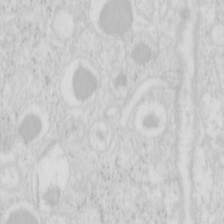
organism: Mouse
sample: Pancreas